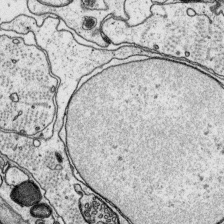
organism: Platynereis dumerilii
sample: Parapodia